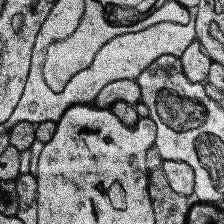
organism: Human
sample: Temporal Lobe